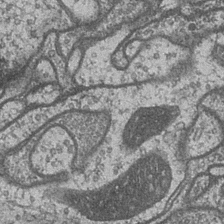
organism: Drosophila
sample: Optic medulla